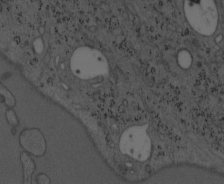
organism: Mouse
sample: OT-I killer T cells with ID8 ovarian cancer cells